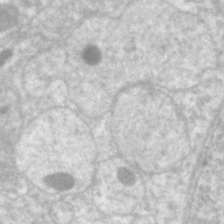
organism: C. elegans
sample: Pharynx